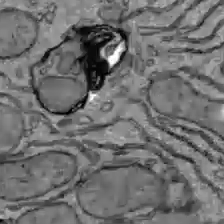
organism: C57BL Mouse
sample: Liver